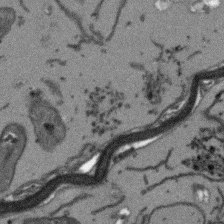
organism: Arabidopsis thaliana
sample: Root tip